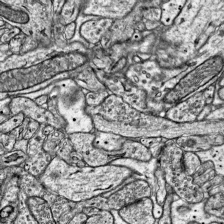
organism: Mouse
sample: Visual Cortex